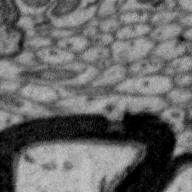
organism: Zebra finch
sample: Brain